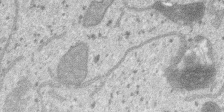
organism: Human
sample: Lung epithelial cells infected with SARS-CoV-2